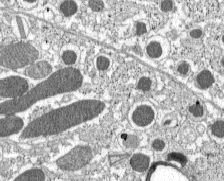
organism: C57BL Mouse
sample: Pancreatic islet